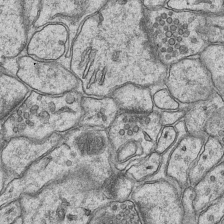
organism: Mouse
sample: CA1 Hippocampus